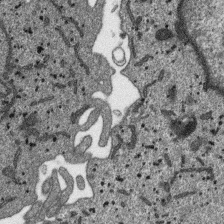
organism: Human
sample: Lung epithelial cells infected with SARS-CoV-2